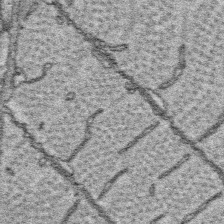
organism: Platynereis dumerilii